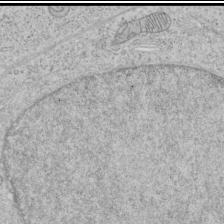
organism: Human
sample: Mitochondria in HCT116 cells